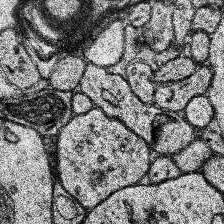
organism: Human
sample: Temporal Lobe